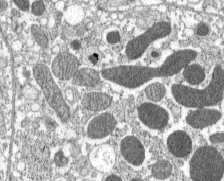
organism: C57BL Mouse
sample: Pancreatic islet